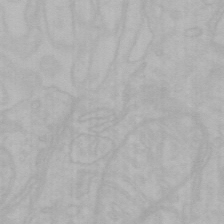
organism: Mouse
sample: Choroid plexus